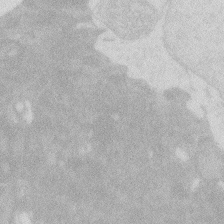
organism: Zebrafish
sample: Macrophage